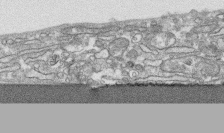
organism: Human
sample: CRL-1474